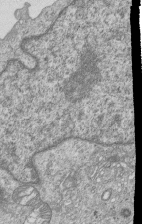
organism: Human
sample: MDA-MB-231 cells